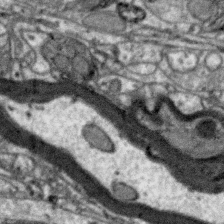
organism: Zebra finch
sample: Brain